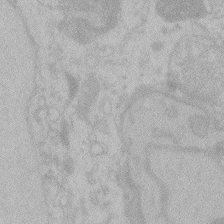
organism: Zebrafish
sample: Macrophage infected with Toxoplasma gondii